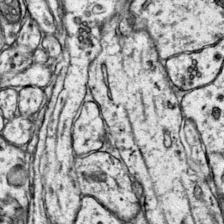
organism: Mouse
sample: Primary visual cortex